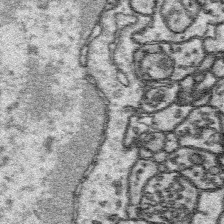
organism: Platynereis dumerilii